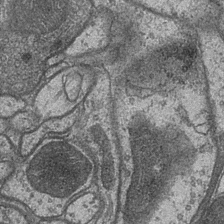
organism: Drosophila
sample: Optic medulla